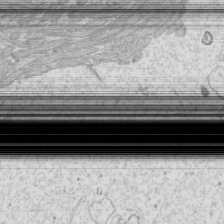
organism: Mouse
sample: Cilia; mouse epididymis